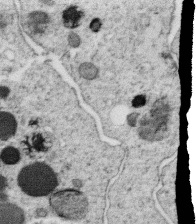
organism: C. elegans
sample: C. elegans oocyte; sperm cells